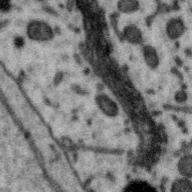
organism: Zebra finch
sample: Brain